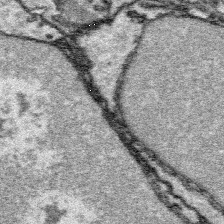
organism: Platynereis dumerilii